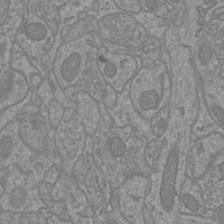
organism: Mouse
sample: Cortical neurons